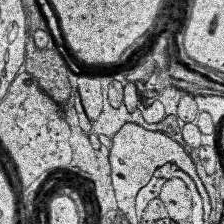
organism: Human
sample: Temporal Lobe